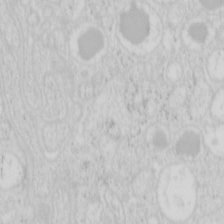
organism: Mouse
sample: Pancreas